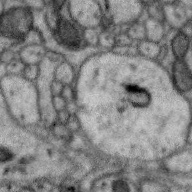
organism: Zebra finch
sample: Brain